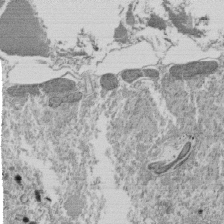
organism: Tetrahymena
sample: Cilia in tetrahymena